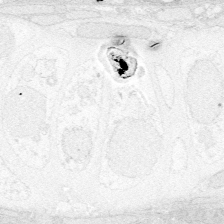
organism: Zebrafish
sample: Whole-Brain